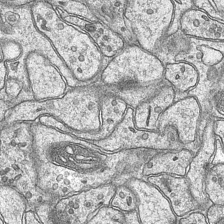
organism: Mouse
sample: CA1 Hippocampus